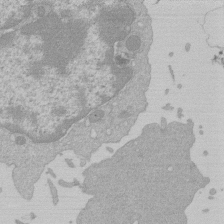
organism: Mouse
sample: Activated Pmel transgenic CD8+ T Cells